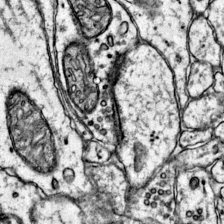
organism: Mouse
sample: Primary visual cortex